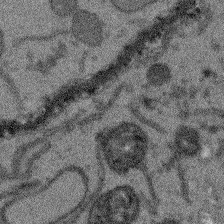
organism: Arabidopsis thaliana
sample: Root tip